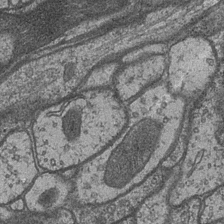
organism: Drosophila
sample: Optic medulla